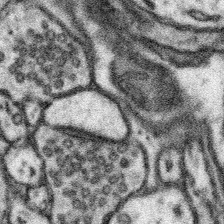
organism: Mouse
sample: Somatosensory cortex neuropil